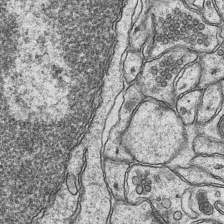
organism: Mouse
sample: CA1 Hippocampus